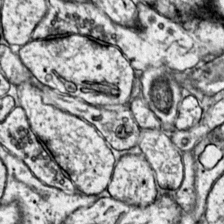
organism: Mouse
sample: Primary visual cortex